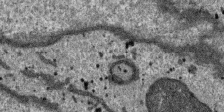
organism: Human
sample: Lung epithelial cells, uninfected (mock) control